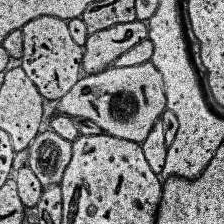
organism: Human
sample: Temporal Lobe